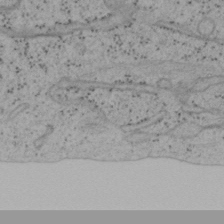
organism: Human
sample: HeLa cells